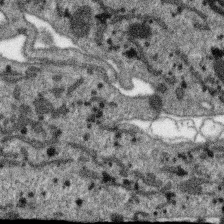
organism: Human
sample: Lung epithelial cells infected with SARS-CoV-2